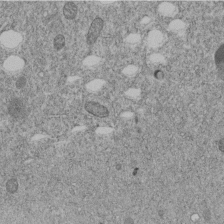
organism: C. elegans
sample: C. elegans embryo early stage